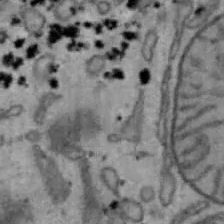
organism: Mouse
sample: Liver